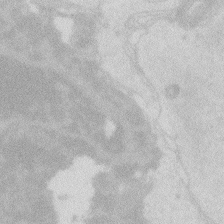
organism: Zebrafish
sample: Macrophage